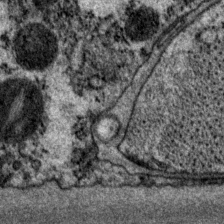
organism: P. pacificus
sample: Pharynx